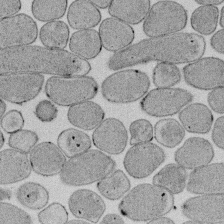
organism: E. coli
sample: Bacterial nucleoid